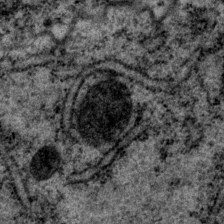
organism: P. pacificus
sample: Pharynx